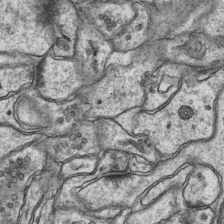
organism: Mouse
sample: CA1 Hippocampus